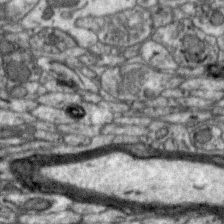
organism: Zebra finch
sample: Brain